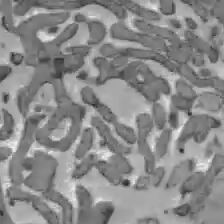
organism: C57BL Mouse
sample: Liver